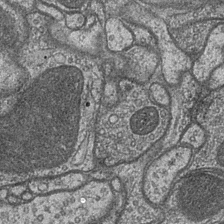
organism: Drosophila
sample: Optic medulla